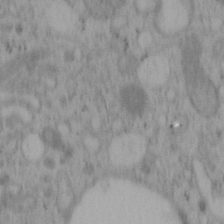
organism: Mouse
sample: OT-I killer T cells with ID8 ovarian cancer cells